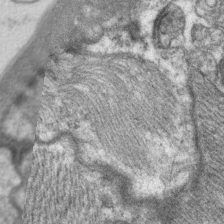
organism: C. elegans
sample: Pharynx